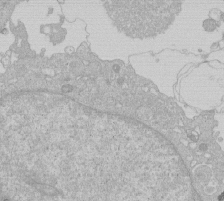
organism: Human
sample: Macrophage cells